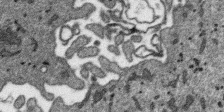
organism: Human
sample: Lung epithelial cells infected with SARS-CoV-2